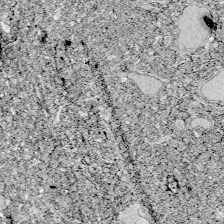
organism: Zebrafish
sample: Whole-Brain